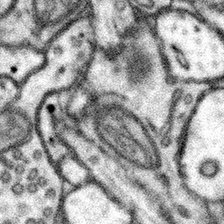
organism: Mouse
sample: Somatosensory cortex neuropil